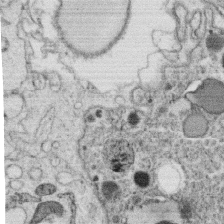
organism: C. elegans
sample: C. elegans oocyte; sperm cells